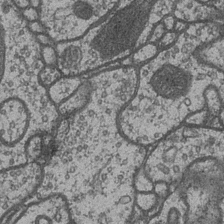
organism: Drosophila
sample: Optic medulla